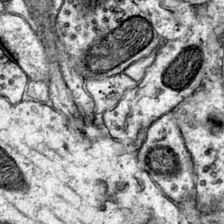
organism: Mouse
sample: Primary visual cortex